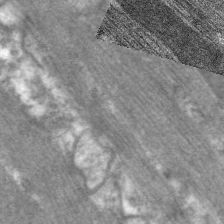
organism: C. elegans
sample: Pharynx